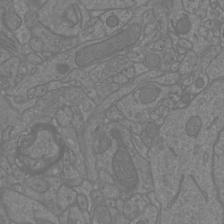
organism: Mouse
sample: Cortical neurons